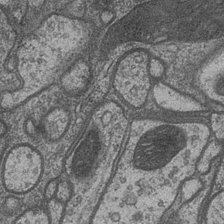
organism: Drosophila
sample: Optic medulla